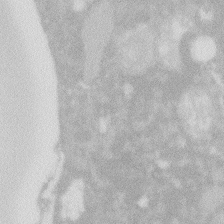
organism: Zebrafish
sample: Macrophage